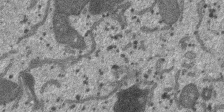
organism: Human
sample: Lung epithelial cells infected with SARS-CoV-2